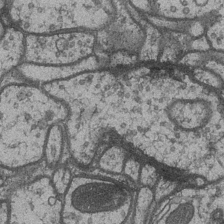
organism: Drosophila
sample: Optic medulla